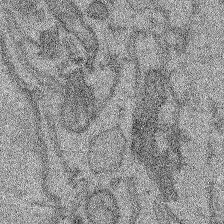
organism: Human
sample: HeLa cells